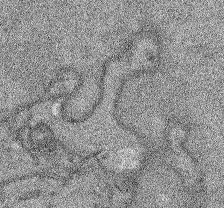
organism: Human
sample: HeLa cells